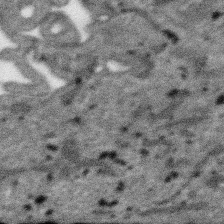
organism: Human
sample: Lung epithelial cells infected with SARS-CoV-2